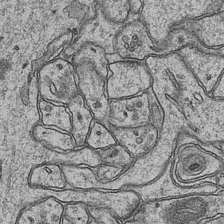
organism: Mouse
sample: CA1 Hippocampus